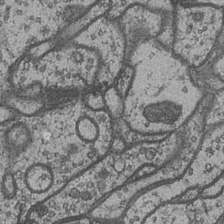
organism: Drosophila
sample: Optic medulla